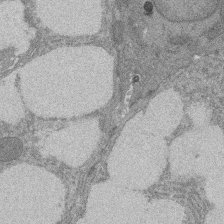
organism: Rat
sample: Salivary granule